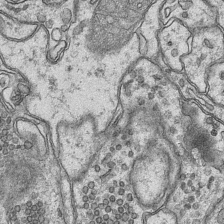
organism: Mouse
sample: CA1 Hippocampus